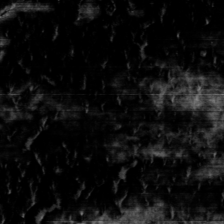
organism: Toxoplasma gondii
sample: Parasites in a vacuole inside a host cell